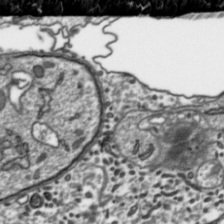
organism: Toxoplasma gondii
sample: Parasites in a vacuole inside a host cell